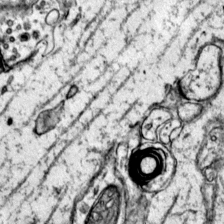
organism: Mouse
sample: Primary visual cortex